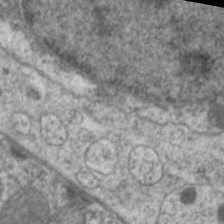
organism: C. elegans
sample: Pharynx